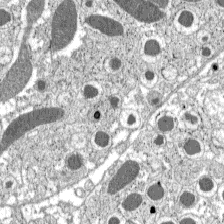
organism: C57BL Mouse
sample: Pancreatic islet